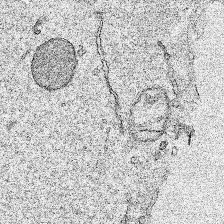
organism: Human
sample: Mitochondria in HCT116 cells